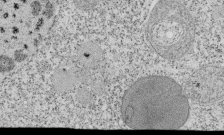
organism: Tetrahymena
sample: Cilia in tetrahymena